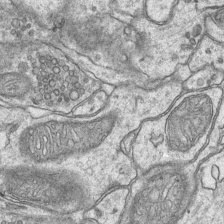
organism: Mouse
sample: CA1 Hippocampus